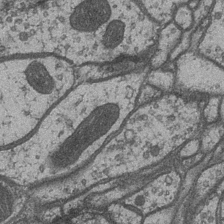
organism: Drosophila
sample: Optic medulla